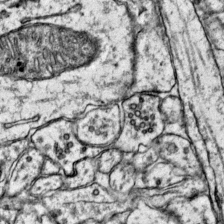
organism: Mouse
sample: Primary visual cortex